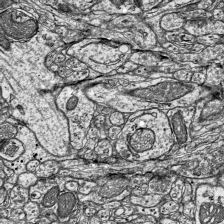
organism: Mouse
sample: Visual Cortex